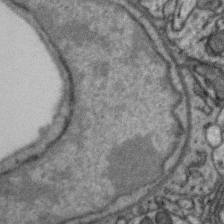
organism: Zebra finch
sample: Brain